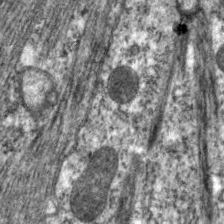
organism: C. elegans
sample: Pharynx